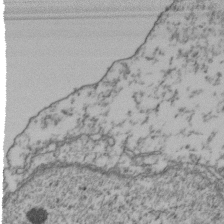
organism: Human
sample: Activated Jurkat CD4+ T cells